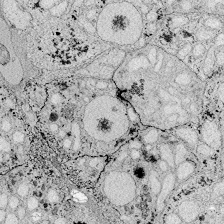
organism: Zebrafish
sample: Whole-Brain